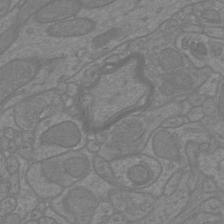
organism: Mouse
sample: Cortical neurons